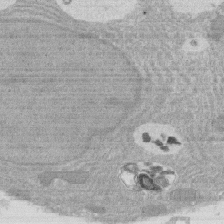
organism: Rat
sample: Salivary granule